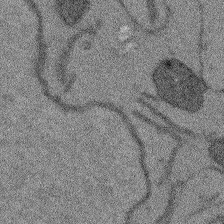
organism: Arabidopsis thaliana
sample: Root tip